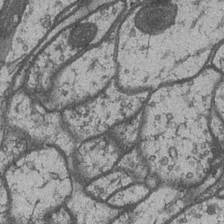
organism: Drosophila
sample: Optic medulla